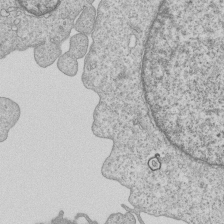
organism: Human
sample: MDA-MB-231 cells